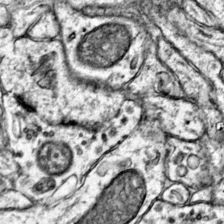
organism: Mouse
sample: Primary visual cortex